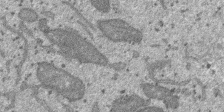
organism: Human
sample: Lung epithelial cells infected with SARS-CoV-2